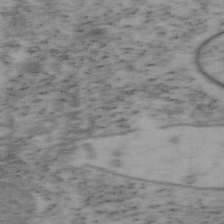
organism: Mouse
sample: OT-I killer T cells with ID8 ovarian cancer cells